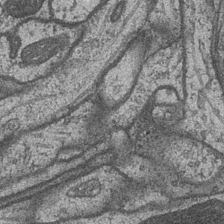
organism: Drosophila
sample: Optic medulla